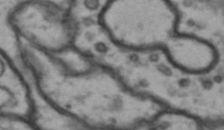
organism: Drosophila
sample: Brain